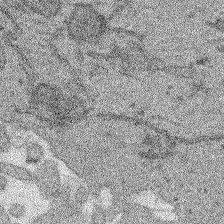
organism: Human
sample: HeLa cells